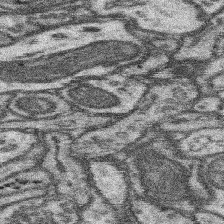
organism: Mouse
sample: Somatosensory cortex neuropil